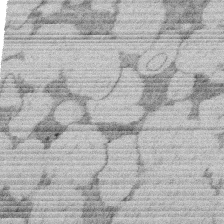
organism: Rat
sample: Salivary granule